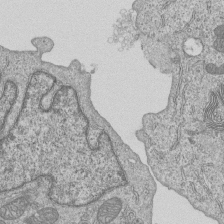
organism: Human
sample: MDA-MB-231 cells